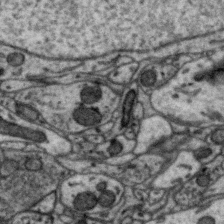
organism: Zebra finch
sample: Brain